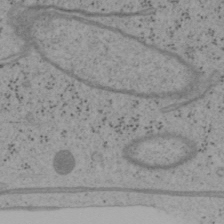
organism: Human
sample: HeLa cells